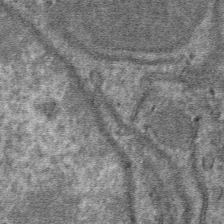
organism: Mouse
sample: Mouse hepatocytes